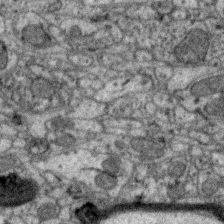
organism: Zebra finch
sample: Brain